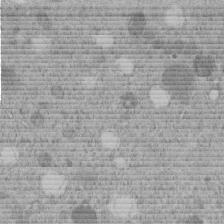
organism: C. elegans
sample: C. elegans embryo early stage